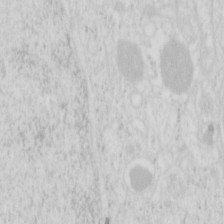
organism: Mouse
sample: Pancreas